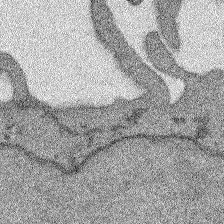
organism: Human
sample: HeLa cells